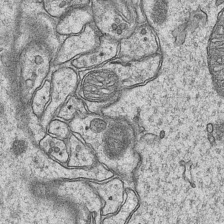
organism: Mouse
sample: CA1 Hippocampus